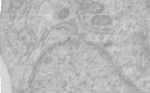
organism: Human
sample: Centriole in RPE cells